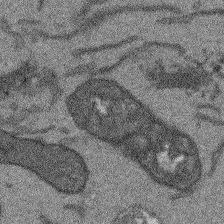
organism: Arabidopsis thaliana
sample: Root tip